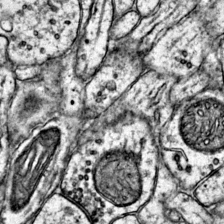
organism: Mouse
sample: Primary visual cortex